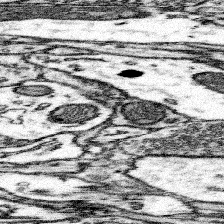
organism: Mouse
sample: Somatosensory cortex neuropil